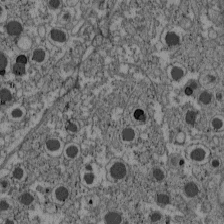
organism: C57BL Mouse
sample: Pancreatic islet